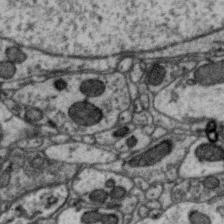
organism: Zebra finch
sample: Brain